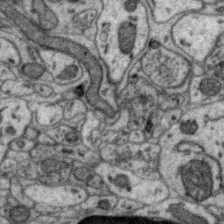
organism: Zebra finch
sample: Brain